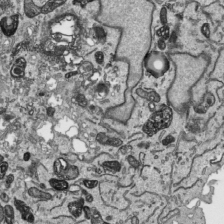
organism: Human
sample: Mitochondria in HCT116 cells